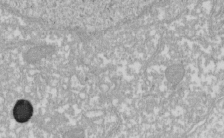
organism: Xenopus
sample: Cilia; centrioles in frog embryo cells